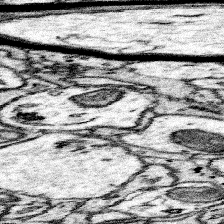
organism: Mouse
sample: Somatosensory cortex neuropil